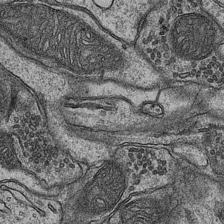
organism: Mouse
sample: CA1 Hippocampus